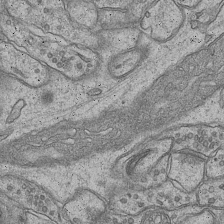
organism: Mouse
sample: CA1 Hippocampus